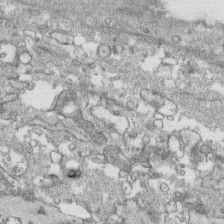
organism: Human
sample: CRL-1474